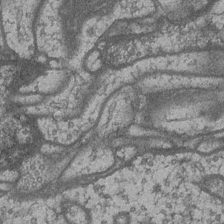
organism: Drosophila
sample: Optic medulla